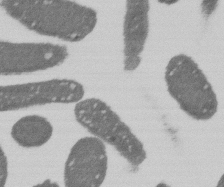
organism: E. coli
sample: Bacterial nucleoid